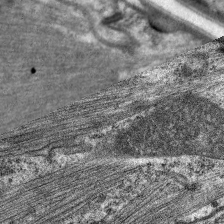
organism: C. elegans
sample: Pharynx